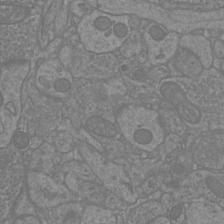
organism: Mouse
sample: Cortical neurons